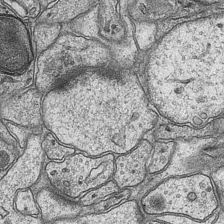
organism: Mouse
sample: CA1 Hippocampus